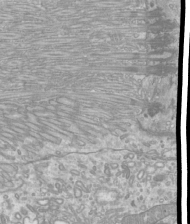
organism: Mouse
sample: Cilia; mouse epididymis